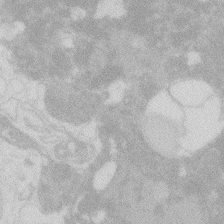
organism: Zebrafish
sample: Macrophage